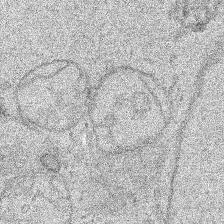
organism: Human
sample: Mitochondria in HCT116 cells